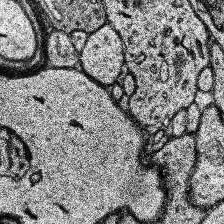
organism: Human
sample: Temporal Lobe